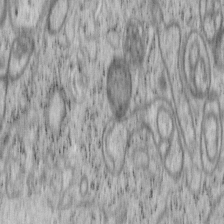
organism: Human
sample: HeLa cells